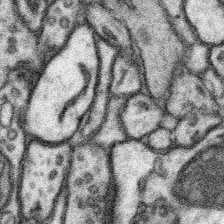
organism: Mouse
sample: Somatosensory cortex neuropil